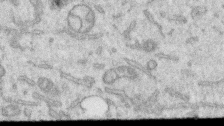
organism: Human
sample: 1205lu cells